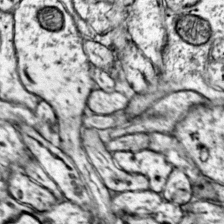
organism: Mouse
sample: Primary visual cortex